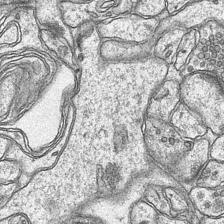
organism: Mouse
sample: CA1 Hippocampus